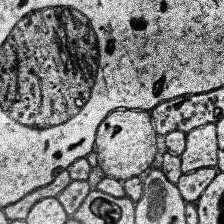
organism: Human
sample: Temporal Lobe